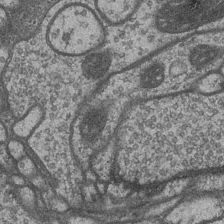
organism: Drosophila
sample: Optic medulla